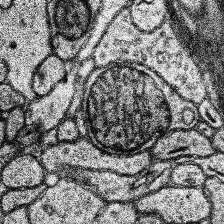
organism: Human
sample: Temporal Lobe